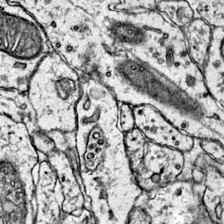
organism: Mouse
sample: Primary visual cortex